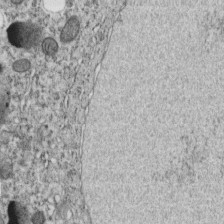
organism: C. elegans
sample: C. elegans embryo early stage